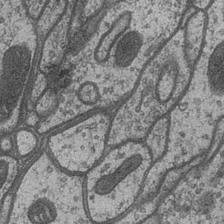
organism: Drosophila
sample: Optic medulla